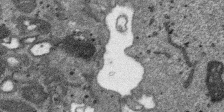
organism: Human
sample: Lung epithelial cells infected with SARS-CoV-2